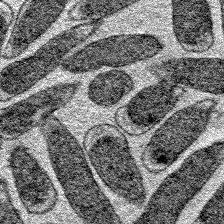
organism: E. coli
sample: E. Coli Bacteria